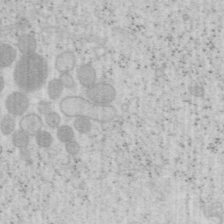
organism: Human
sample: HeLa cells